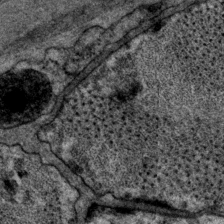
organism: P. pacificus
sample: Pharynx